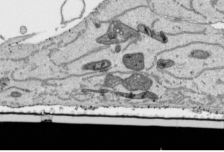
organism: Human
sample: Mitochondria in HCT116 cells